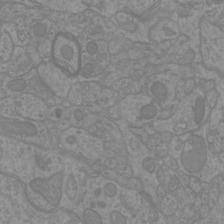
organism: Mouse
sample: Cortical neurons